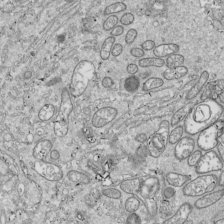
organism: Drosophila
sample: Cell division; meiosis; drosophila spermatocytes